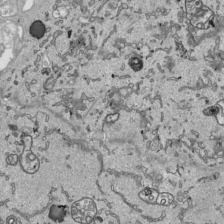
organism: Human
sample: Mitochondria in HCT116 cells